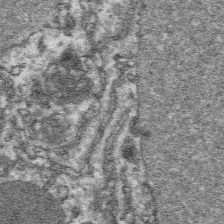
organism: Platynereis dumerilii